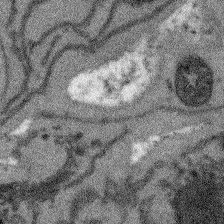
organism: Arabidopsis thaliana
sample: Root tip